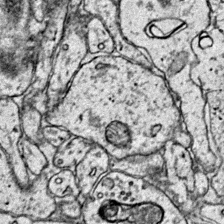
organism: Mouse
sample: Primary visual cortex